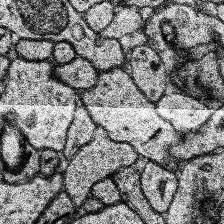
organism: Human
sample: Temporal Lobe